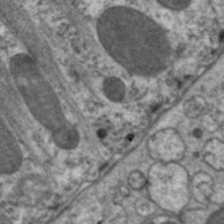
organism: C. elegans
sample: Pharynx